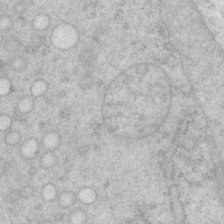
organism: P. pacificus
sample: Pharynx